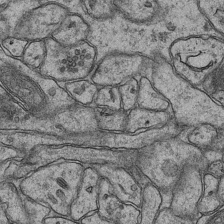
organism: Mouse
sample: CA1 Hippocampus